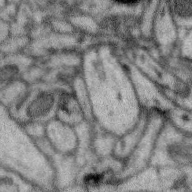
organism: Zebra finch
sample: Brain